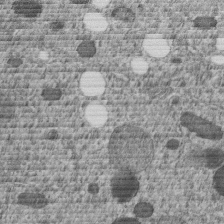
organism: C. elegans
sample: C. elegans embryo early stage